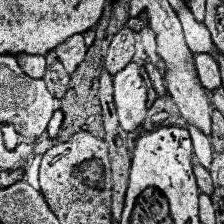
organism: Human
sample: Temporal Lobe